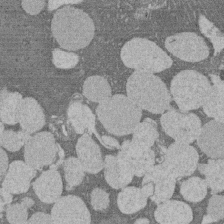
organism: Rat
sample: Salivary granule